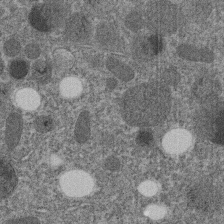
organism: C. elegans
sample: C. elegans embryo early stage